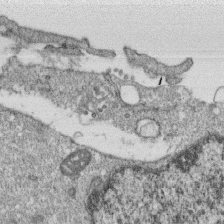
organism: African green monkey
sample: Vero E6 cells infected with SARS-CoV-2